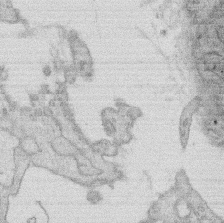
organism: Rat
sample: Salivary granule